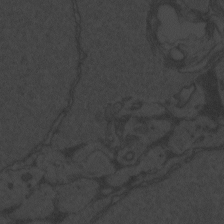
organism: Zebrafish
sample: Macrophage infected with Toxoplasma gondii